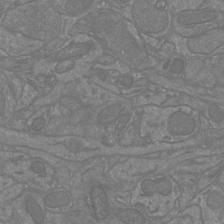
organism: Mouse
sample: Cortical neurons